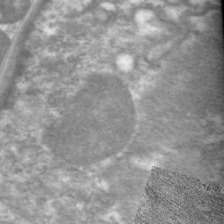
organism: C. elegans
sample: Pharynx